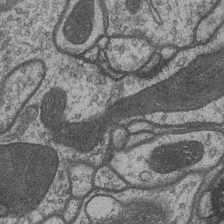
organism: Drosophila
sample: Optic medulla